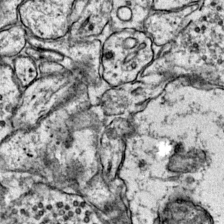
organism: Mouse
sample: Primary visual cortex